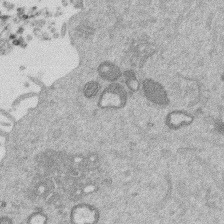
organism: Mouse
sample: Dividing mouse embryo 1 cell stage